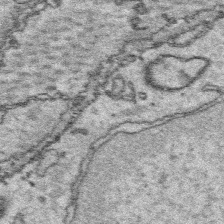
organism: Platynereis dumerilii